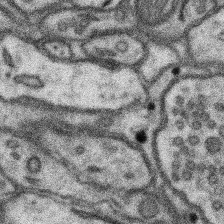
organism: Mouse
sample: Somatosensory cortex neuropil